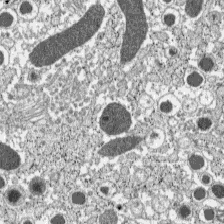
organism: C57BL Mouse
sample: Pancreatic islet